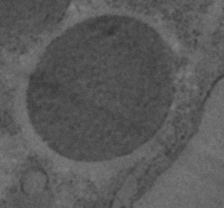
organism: C. elegans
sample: C. elegans embryo